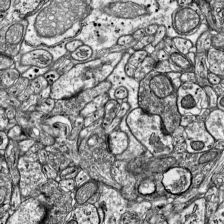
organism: Mouse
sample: Visual Cortex